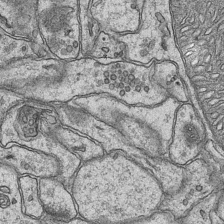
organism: Mouse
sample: CA1 Hippocampus